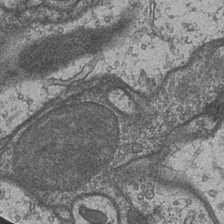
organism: Drosophila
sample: Optic medulla